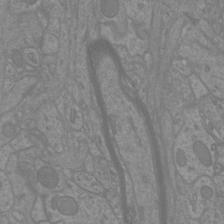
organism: Mouse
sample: Cortical neurons